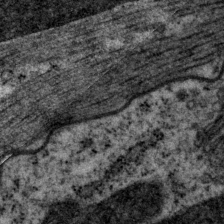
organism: P. pacificus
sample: Pharynx